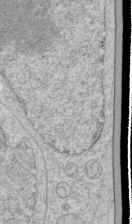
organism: Human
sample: Mitochondria in HCT116 cells